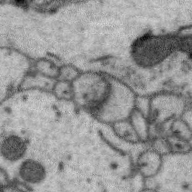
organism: Zebra finch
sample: Brain